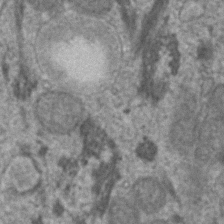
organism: Human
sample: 1205lu cells